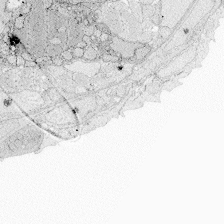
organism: Zebrafish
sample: Whole-Brain